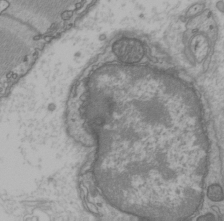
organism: C57BL Mouse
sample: Heart